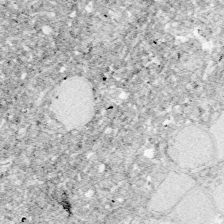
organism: Zebrafish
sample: Whole-Brain